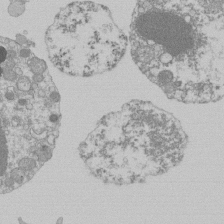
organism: Mouse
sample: Activated Pmel transgenic CD8+ T Cells